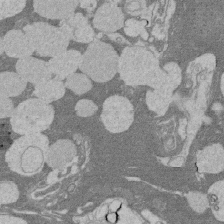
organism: Rat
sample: Salivary granule